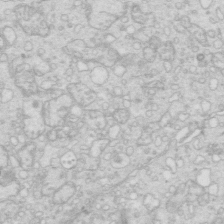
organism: Mouse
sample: Multiciliated cells